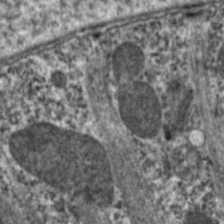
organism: C. elegans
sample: Pharynx